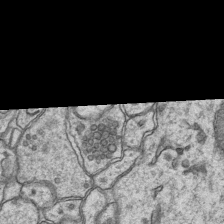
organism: Mouse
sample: CA1 Hippocampus